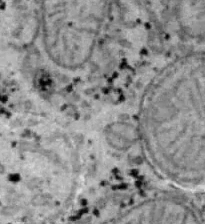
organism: Mouse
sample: Liver from an obese (ob/ob) mouse